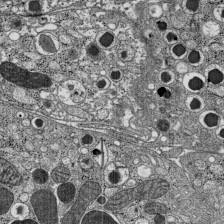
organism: C57BL Mouse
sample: Pancreatic islet